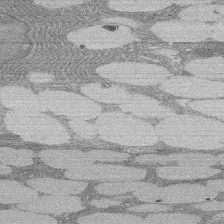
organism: Rat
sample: Salivary granule